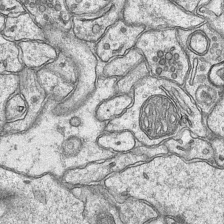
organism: Mouse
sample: CA1 Hippocampus